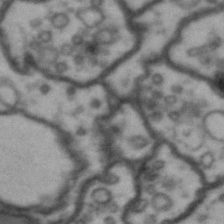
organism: Drosophila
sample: Brain